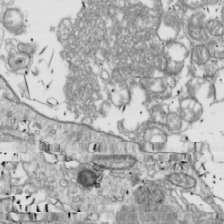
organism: Drosophila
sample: Cell division; meiosis; drosophila spermatocytes